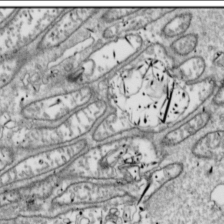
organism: Drosophila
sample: Cell division; meiosis; drosophila spermatocytes